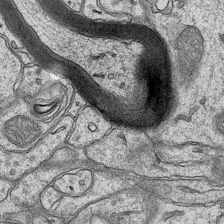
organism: Mouse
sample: CA1 Hippocampus